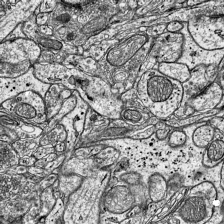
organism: Mouse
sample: Visual Cortex